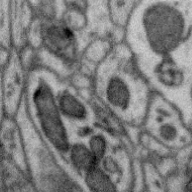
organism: Zebra finch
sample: Brain